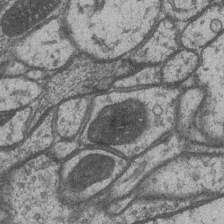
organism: Drosophila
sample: Optic medulla